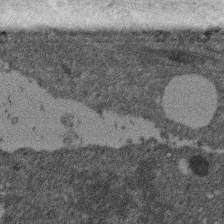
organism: Mouse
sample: Dividing mouse embryo 1 cell stage